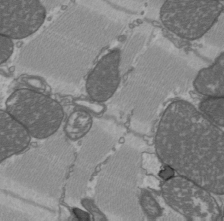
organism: C57BL Mouse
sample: Heart